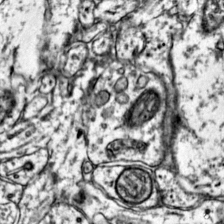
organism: Mouse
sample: Primary visual cortex